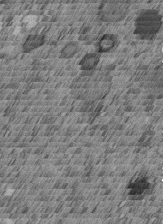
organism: C. elegans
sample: C. elegans embryo early stage